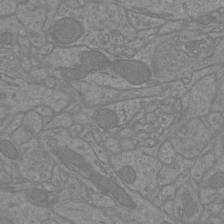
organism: Mouse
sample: Cortical neurons